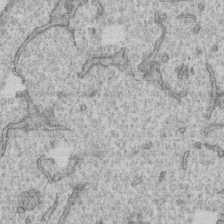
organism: Human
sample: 1205lu cells